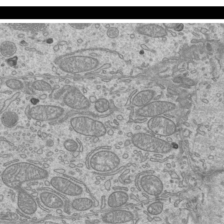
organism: Mouse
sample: Cilia; mouse epididymis